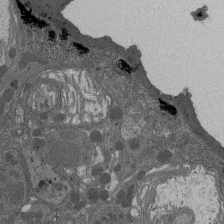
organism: Drosophila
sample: Antenna